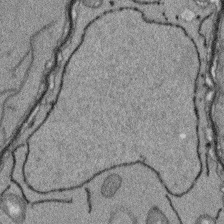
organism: Arabidopsis thaliana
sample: Root tip